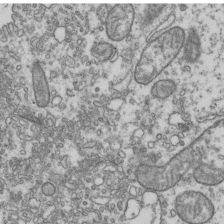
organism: Human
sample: Activated Jurkat CD4+ T cells